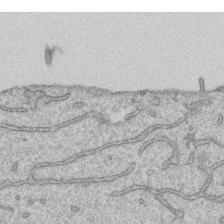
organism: Human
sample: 1205lu cells